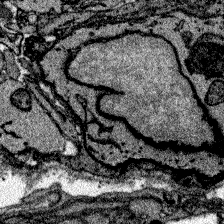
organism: Zebrafish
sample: Larval olfactory bulb